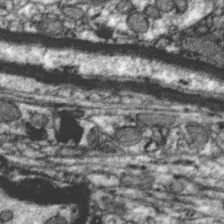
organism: Zebra finch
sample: Brain